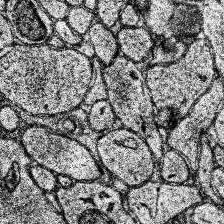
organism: Human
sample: Temporal Lobe